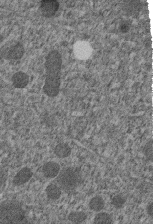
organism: C. elegans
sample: C. elegans embryo early stage